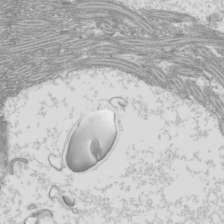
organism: Mouse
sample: Cilia; mouse epididymis